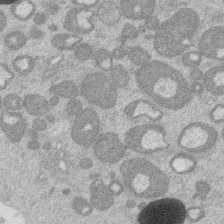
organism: Mouse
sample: Dividing mouse embryo 1 cell stage